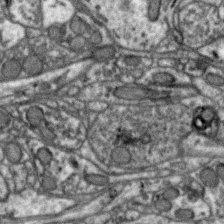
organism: Zebra finch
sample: Brain